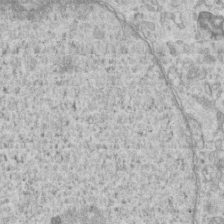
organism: Mouse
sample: Centriole in ependymal cells